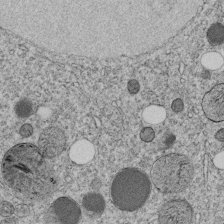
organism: C. elegans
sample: C. elegans embryo early stage